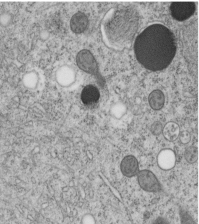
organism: C. elegans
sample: C. elegans embryo early stage